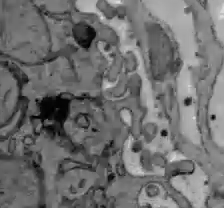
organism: C57BL Mouse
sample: Liver